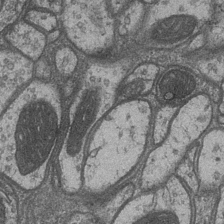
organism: Drosophila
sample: Optic medulla